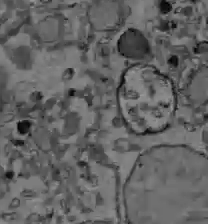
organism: C57BL Mouse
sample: Liver